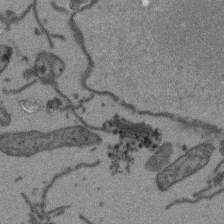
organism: Arabidopsis thaliana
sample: Root tip